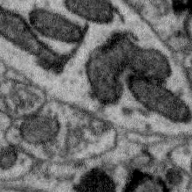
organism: Zebra finch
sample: Brain